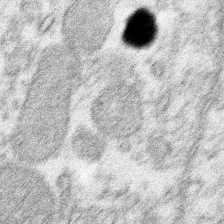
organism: Xenopus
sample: Cilia; centrioles in frog embryo cells